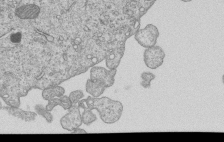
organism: Human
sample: MDA-MB-231 cells